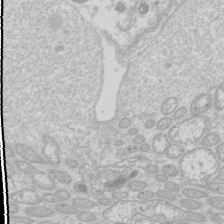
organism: Drosophila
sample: Cell division; meiosis; drosophila spermatocytes